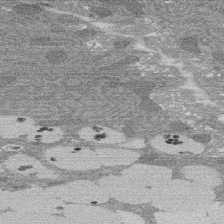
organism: Rat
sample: Salivary granule